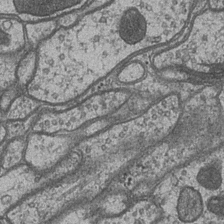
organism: Drosophila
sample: Optic medulla